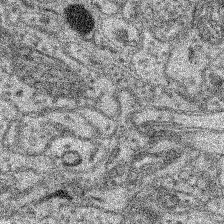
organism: Mouse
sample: Retina